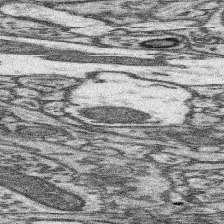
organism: Mouse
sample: Somatosensory cortex neuropil